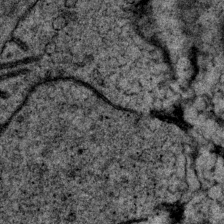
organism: P. pacificus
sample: Pharynx